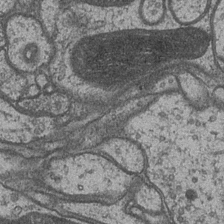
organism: Drosophila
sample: Optic medulla